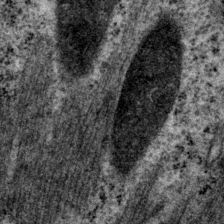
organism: P. pacificus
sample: Pharynx